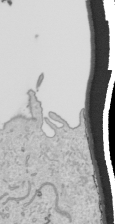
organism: Human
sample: Mitochondria in HCT116 cells